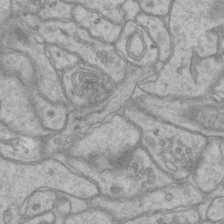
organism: Mouse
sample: CA1 Hippocampus